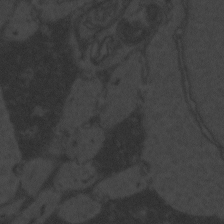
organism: Zebrafish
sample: Macrophage infected with Toxoplasma gondii